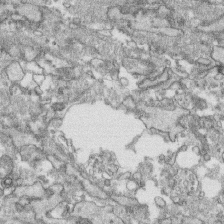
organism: Human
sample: CRL-1474